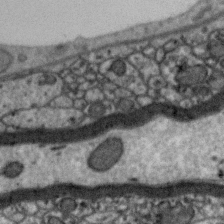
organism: Zebra finch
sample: Brain